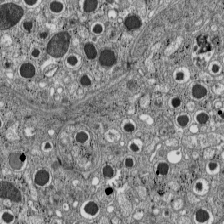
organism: C57BL Mouse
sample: Pancreatic islet